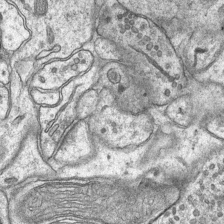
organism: Mouse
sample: CA1 Hippocampus